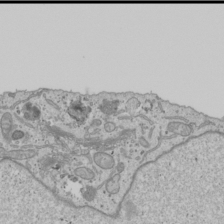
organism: Human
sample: Mitochondria in U2OS cells